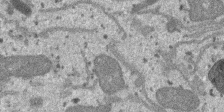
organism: Human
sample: Lung epithelial cells infected with SARS-CoV-2